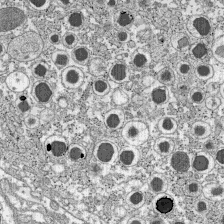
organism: C57BL Mouse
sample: Pancreatic islet